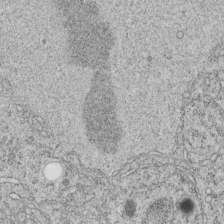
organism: C. elegans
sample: C. elegans embryo early stage